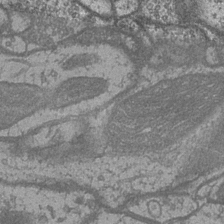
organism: Drosophila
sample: Optic medulla